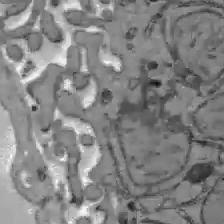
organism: C57BL Mouse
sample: Liver